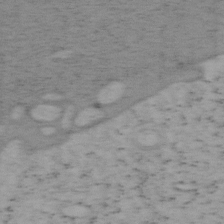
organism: Mouse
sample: OT-I killer T cells with ID8 ovarian cancer cells